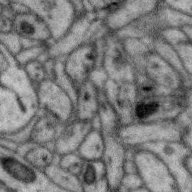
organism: Zebra finch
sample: Brain